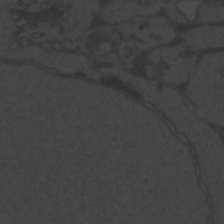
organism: Zebrafish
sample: Macrophage infected with Toxoplasma gondii